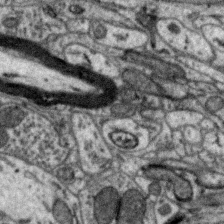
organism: Zebra finch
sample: Brain